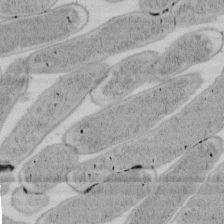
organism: E. coli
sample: Bacterial nucleoid